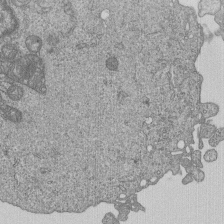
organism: Human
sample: MDA-MB-231 cells